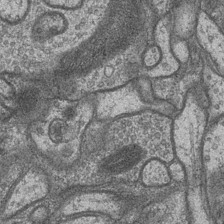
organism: Drosophila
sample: Optic medulla